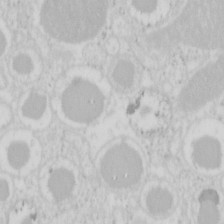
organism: Mouse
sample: Pancreas